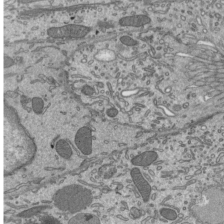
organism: Mouse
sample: Mouse epididymis efferent ductule cilia